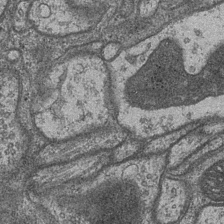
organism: Drosophila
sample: Optic medulla